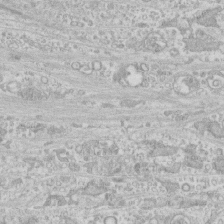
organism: Human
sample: CRL-1474